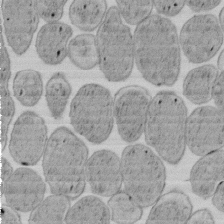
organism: E. coli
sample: Bacterial nucleoid